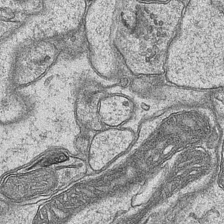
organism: Mouse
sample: CA1 Hippocampus